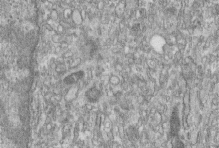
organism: Human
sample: Centriole in fibroblast cells